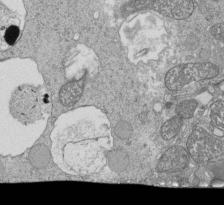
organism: Tetrahymena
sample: Cilia in tetrahymena